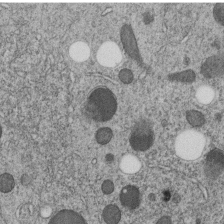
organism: C. elegans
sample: C. elegans embryo early stage